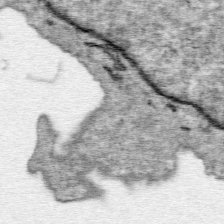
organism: Human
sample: HeLa cells